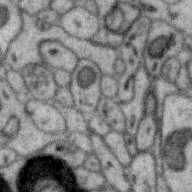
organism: Zebra finch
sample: Brain